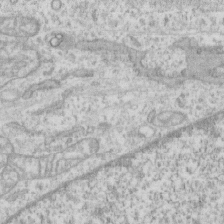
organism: Human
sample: CRL-1474